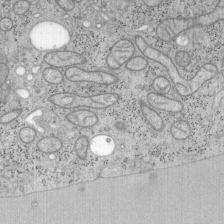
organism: Mouse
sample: OT-I killer T cells with ID8 ovarian cancer cells